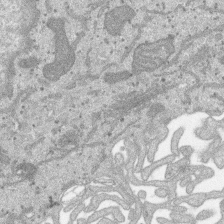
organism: Human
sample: Lung epithelial cells infected with SARS-CoV-2